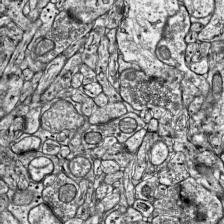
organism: Mouse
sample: Visual Cortex